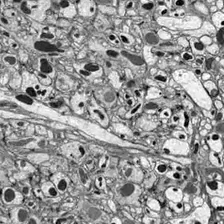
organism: Drosophila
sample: Optic lobe